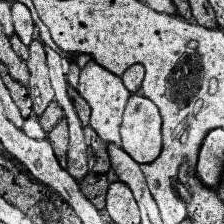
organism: Human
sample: Temporal Lobe